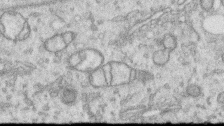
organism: Human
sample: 1205lu cells